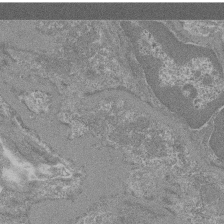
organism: Mouse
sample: Glomerulus